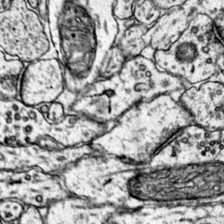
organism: Mouse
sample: Primary visual cortex